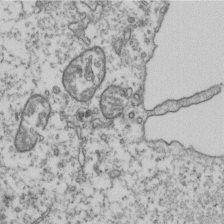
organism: Human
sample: Activated Jurkat CD4+ T cells